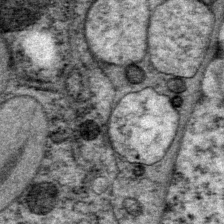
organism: P. pacificus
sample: Pharynx